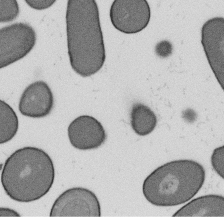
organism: B. subtilis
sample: Bacterial spore